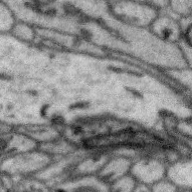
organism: Zebra finch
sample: Brain